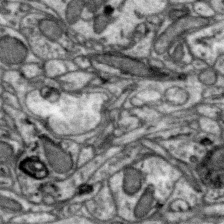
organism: Zebra finch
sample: Brain